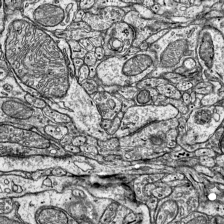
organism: Mouse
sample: Visual Cortex